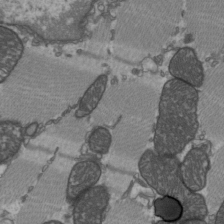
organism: C57BL Mouse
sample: Heart